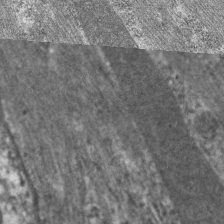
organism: C. elegans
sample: Pharynx